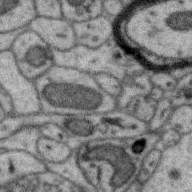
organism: Zebra finch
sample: Brain